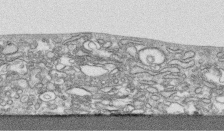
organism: Human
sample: CRL-1474